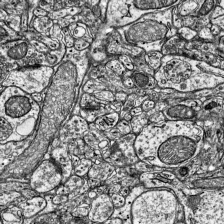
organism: Mouse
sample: Visual Cortex